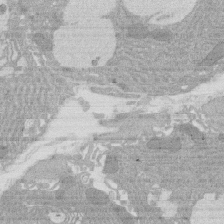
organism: Rat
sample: Salivary granule